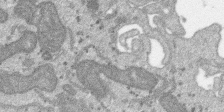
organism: Human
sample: Lung epithelial cells infected with SARS-CoV-2